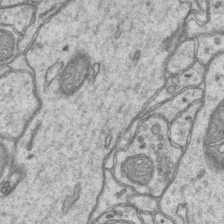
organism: Mouse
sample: CA1 Hippocampus